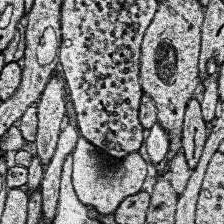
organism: Human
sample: Temporal Lobe